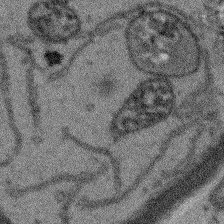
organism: Arabidopsis thaliana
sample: Root tip